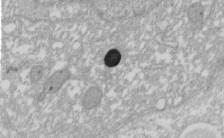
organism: Xenopus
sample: Cilia; centrioles in frog embryo cells